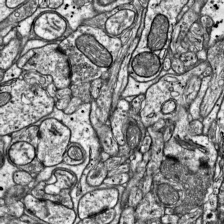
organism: Mouse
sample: Visual Cortex